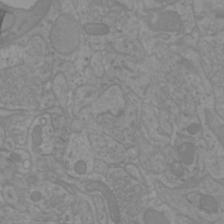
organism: Mouse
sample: Cortical neurons